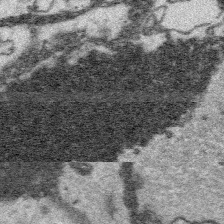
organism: Platynereis dumerilii